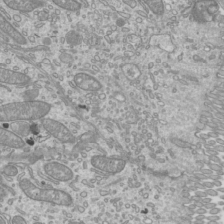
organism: Mouse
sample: Cilia; mouse epididymis